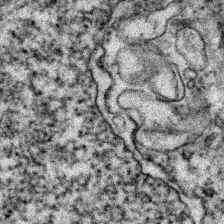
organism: Zebrafish